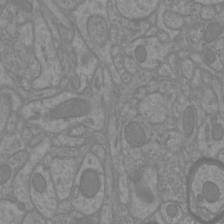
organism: Mouse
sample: Cortical neurons